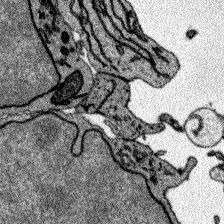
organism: Zebrafish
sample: Larval olfactory bulb